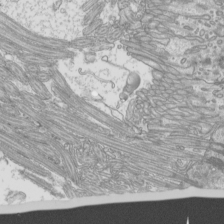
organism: Mouse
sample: Cilia; mouse epididymis